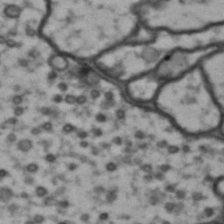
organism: Drosophila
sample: Brain